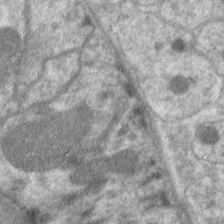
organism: C. elegans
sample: Pharynx